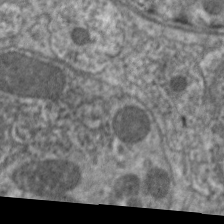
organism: C. elegans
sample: Pharynx